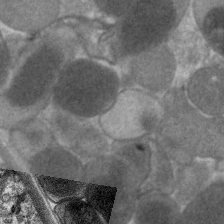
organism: C. elegans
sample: Pharynx